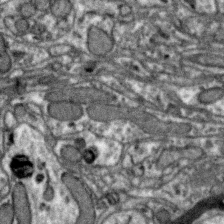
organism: Zebra finch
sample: Brain